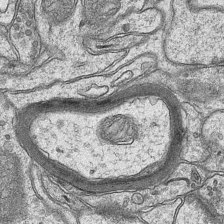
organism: Mouse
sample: CA1 Hippocampus